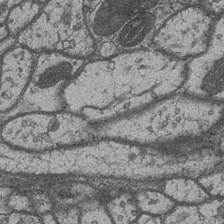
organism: Drosophila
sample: Optic medulla